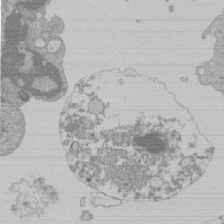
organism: Mouse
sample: Activated Pmel transgenic CD8+ T Cells